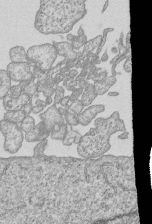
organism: Human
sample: MDA-MB-231 cells